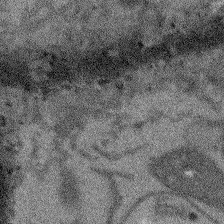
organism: Arabidopsis thaliana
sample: Root tip